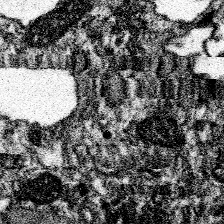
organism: Spongilla lacustris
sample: Neuroid cell